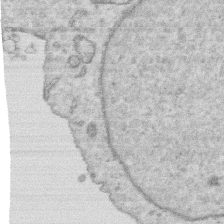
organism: Human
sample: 1205lu cells